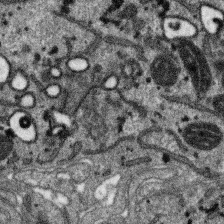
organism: Human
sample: Lung epithelial cells infected with SARS-CoV-2